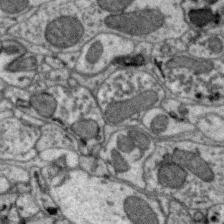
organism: Zebra finch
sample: Brain